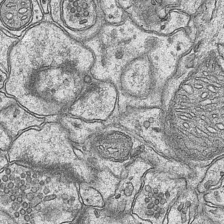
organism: Mouse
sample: CA1 Hippocampus